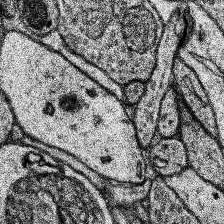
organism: Human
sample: Temporal Lobe